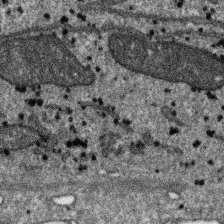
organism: Human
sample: Lung epithelial cells infected with SARS-CoV-2